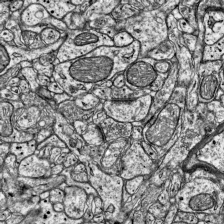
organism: Mouse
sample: Visual Cortex